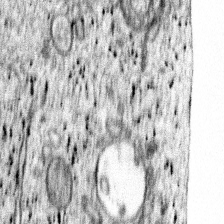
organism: Human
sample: HeLa cells